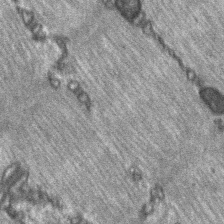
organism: C57BL Mouse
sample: Soleus